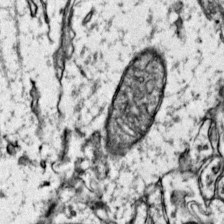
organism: Mouse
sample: Primary visual cortex